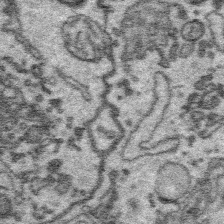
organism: Platynereis dumerilii